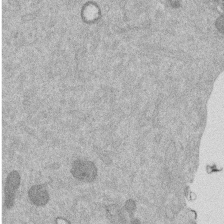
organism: Mouse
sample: Dividing mouse embryo 1 cell stage